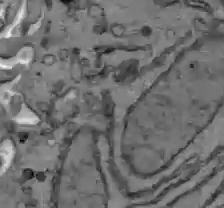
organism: C57BL Mouse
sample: Liver